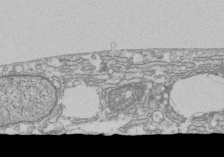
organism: Human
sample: Fibroblast cells